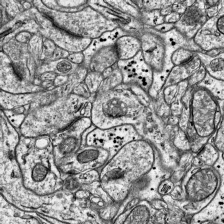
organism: Mouse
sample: Visual Cortex